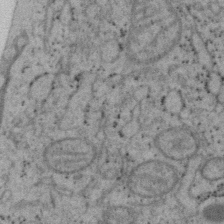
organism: Human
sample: HeLa cells